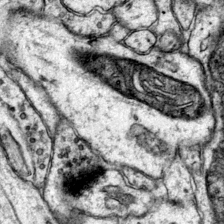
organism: Mouse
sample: Primary visual cortex